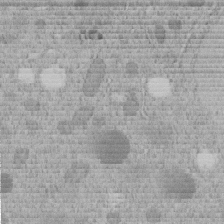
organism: C. elegans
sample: C. elegans embryo early stage